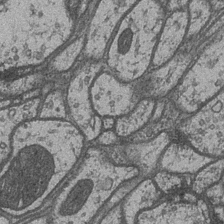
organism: Drosophila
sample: Optic medulla